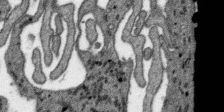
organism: Human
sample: Lung epithelial cells, uninfected (mock) control